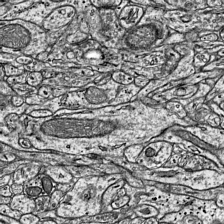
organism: Mouse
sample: Visual Cortex